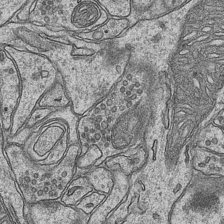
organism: Mouse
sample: CA1 Hippocampus